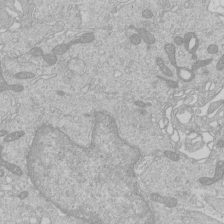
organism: Human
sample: Macrophage cells